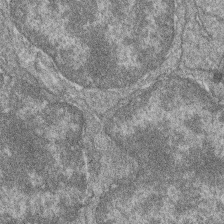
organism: Zebrafish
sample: Cilia; retinal pigment epithelium